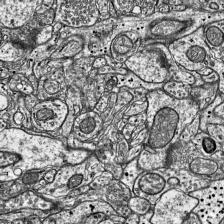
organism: Mouse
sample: Visual Cortex